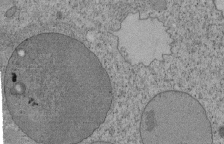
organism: Tetrahymena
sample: Cilia in tetrahymena